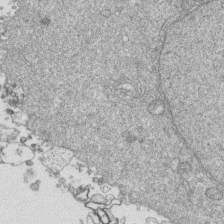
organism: Human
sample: HeLa cell HIV synapse